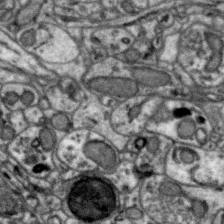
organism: Zebra finch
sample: Brain